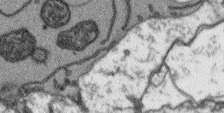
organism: Arabidopsis thaliana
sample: Root tip